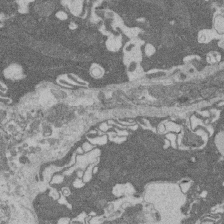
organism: Rat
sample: Salivary granule